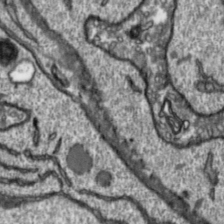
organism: Toxoplasma gondii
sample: Parasites in a vacuole inside a host cell